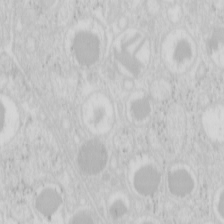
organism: Mouse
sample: Pancreas